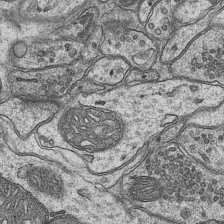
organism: Mouse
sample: CA1 Hippocampus